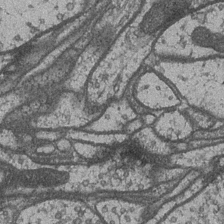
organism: Drosophila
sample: Optic medulla